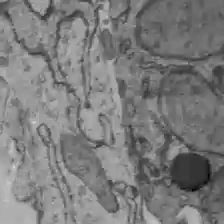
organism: C57BL Mouse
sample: Liver